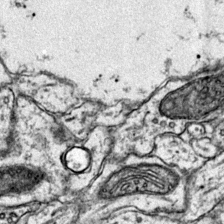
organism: Mouse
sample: Primary visual cortex